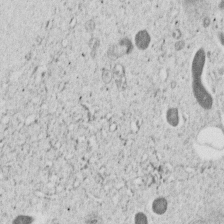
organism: C. elegans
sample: C. elegans embryo early stage